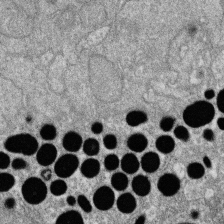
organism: Zebrafish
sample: Cilia; retinal pigment epithelium